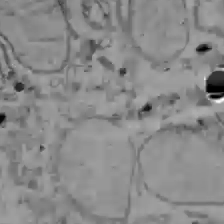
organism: C57BL Mouse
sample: Liver